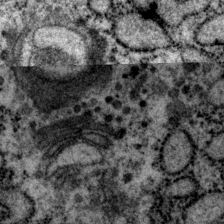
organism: P. pacificus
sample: Pharynx